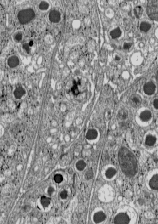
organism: C57BL Mouse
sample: Pancreatic islet